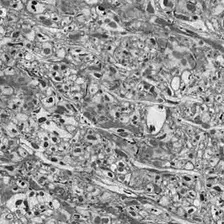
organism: Drosophila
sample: Optic lobe